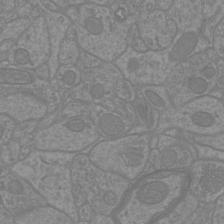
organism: Mouse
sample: Cortical neurons